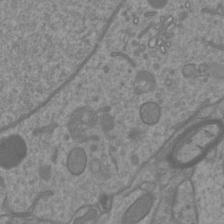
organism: Mouse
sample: Cortical neurons